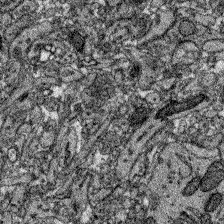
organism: Zebrafish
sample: Larval olfactory bulb